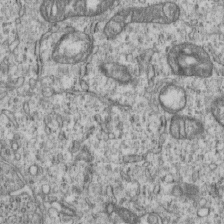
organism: Human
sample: MDA-MB-231 cells